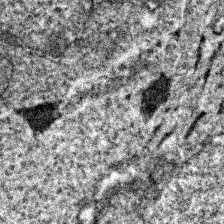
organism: Zebrafish